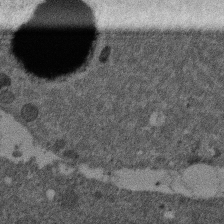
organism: Mouse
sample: Dividing mouse embryo 1 cell stage